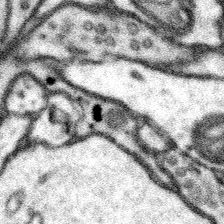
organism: Mouse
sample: Somatosensory cortex neuropil